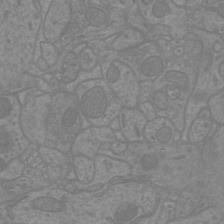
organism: Mouse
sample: Cortical neurons